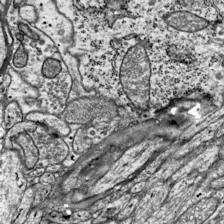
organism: Mouse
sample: Visual Cortex